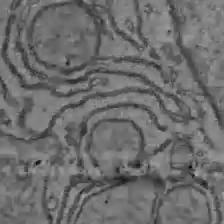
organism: C57BL Mouse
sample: Liver